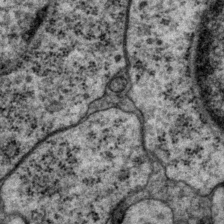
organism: P. pacificus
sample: Pharynx